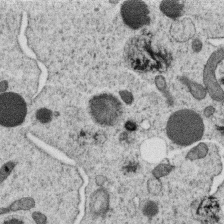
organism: C. elegans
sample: C. elegans oocyte; sperm cells